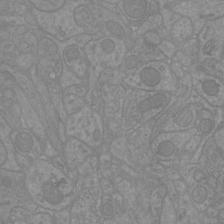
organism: Mouse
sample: Cortical neurons